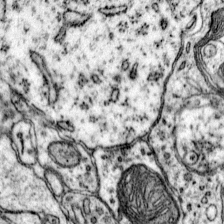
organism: Mouse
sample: Primary visual cortex